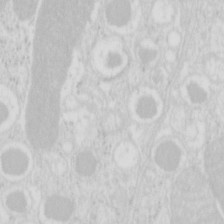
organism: Mouse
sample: Pancreas